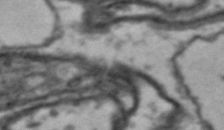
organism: Drosophila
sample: Brain